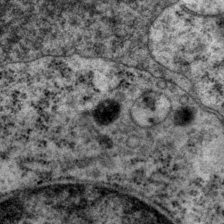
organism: P. pacificus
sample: Pharynx